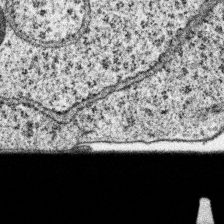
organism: Human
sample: HeLa cells